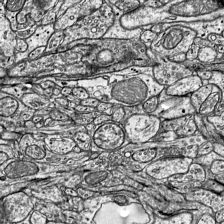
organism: Mouse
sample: Visual Cortex